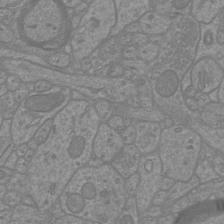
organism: Mouse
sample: Cortical neurons